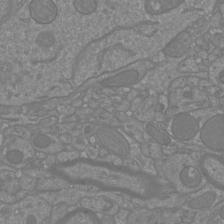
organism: Mouse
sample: Cortical neurons